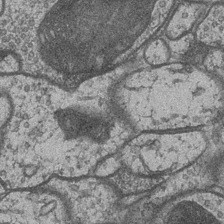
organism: Drosophila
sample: Optic medulla